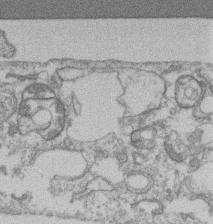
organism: Mouse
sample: T cell stromal cell synapse